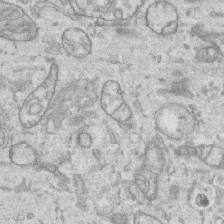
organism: Human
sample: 1205lu cells